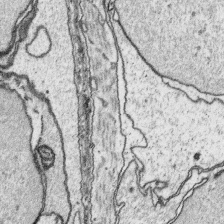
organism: Platynereis dumerilii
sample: Parapodia